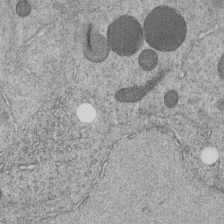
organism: C. elegans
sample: C. elegans embryo early stage